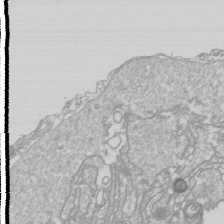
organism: Drosophila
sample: Cell division; meiosis; drosophila spermatocytes